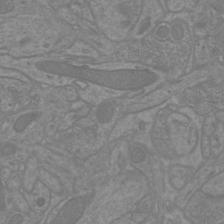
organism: Mouse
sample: Cortical neurons